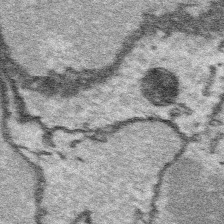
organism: Platynereis dumerilii